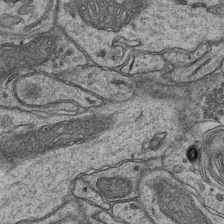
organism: Mouse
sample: CA1 Hippocampus